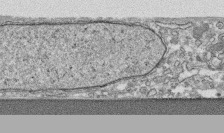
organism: Human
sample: CRL-1474